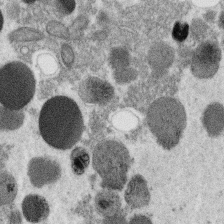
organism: C. elegans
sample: C. elegans oocyte; sperm cells